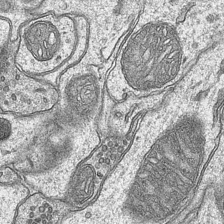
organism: Mouse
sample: CA1 Hippocampus